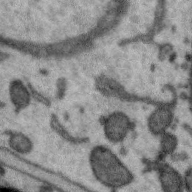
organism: Zebra finch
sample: Brain